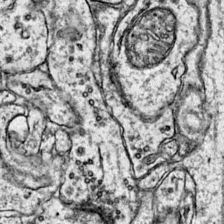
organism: Mouse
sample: Primary visual cortex